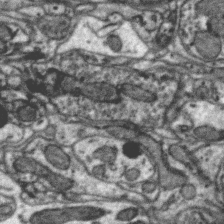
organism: Zebra finch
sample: Brain